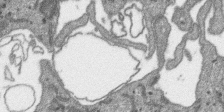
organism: Human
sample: Lung epithelial cells infected with SARS-CoV-2